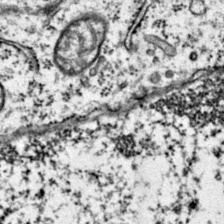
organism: Mouse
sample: Primary visual cortex